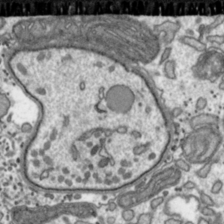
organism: Toxoplasma gondii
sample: Parasites in a vacuole inside a host cell